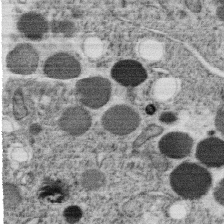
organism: C. elegans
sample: C. elegans oocyte; sperm cells